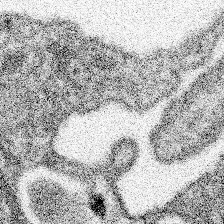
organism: Spongilla lacustris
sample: Neuroid cell